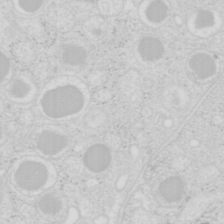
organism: Mouse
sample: Pancreas